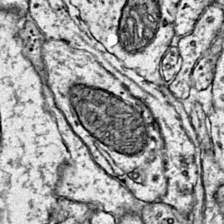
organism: Mouse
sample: Primary visual cortex